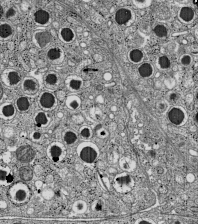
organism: C57BL Mouse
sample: Pancreatic islet